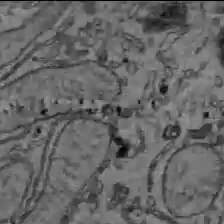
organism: C57BL Mouse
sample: Liver